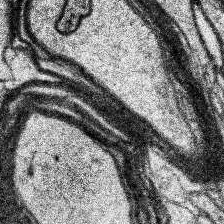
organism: Human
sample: Temporal Lobe